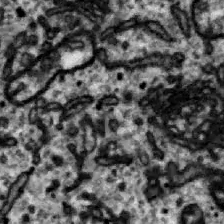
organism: Human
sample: HeLa cells